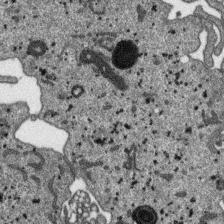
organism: Human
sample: Lung epithelial cells infected with SARS-CoV-2